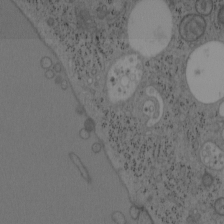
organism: Mouse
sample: OT-I killer T cells with ID8 ovarian cancer cells